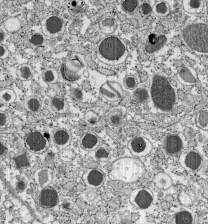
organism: C57BL Mouse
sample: Pancreatic islet